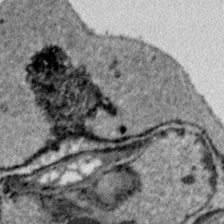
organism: Plasmodium falciparum